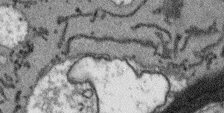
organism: Arabidopsis thaliana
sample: Root tip